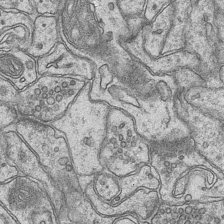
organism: Mouse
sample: CA1 Hippocampus